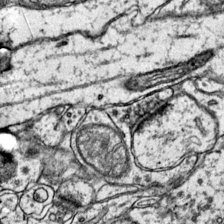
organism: Mouse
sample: Primary visual cortex